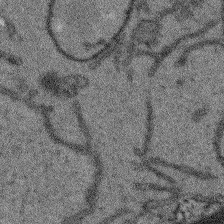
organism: Arabidopsis thaliana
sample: Root tip